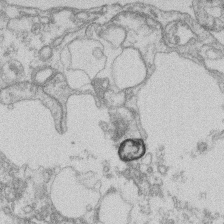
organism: Mouse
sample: T cell stromal cell synapse